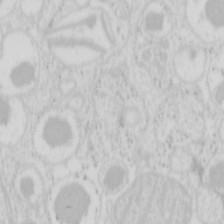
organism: Mouse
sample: Pancreas